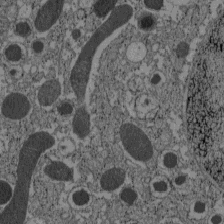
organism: C57BL Mouse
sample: Pancreatic islet